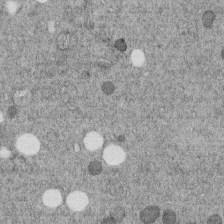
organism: C. elegans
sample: C. elegans embryo early stage